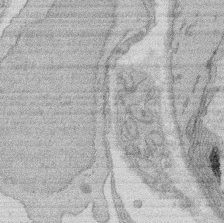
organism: Rat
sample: Salivary granule